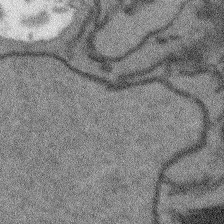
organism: Arabidopsis thaliana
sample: Root tip